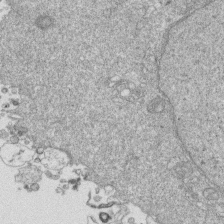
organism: Human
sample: HeLa cell HIV synapse